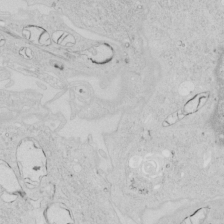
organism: Human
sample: Mitochondria in HCT116 cells